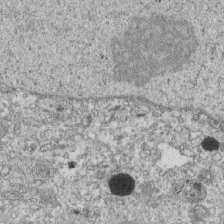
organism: Human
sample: HeLa cell HIV synapse